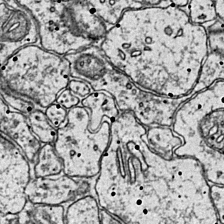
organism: Mouse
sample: Primary visual cortex